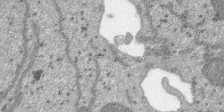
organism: Human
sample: Lung epithelial cells infected with SARS-CoV-2